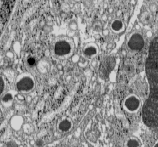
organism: C57BL Mouse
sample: Pancreatic islet